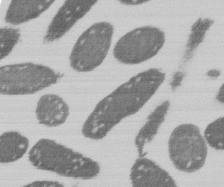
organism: E. coli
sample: Bacterial nucleoid